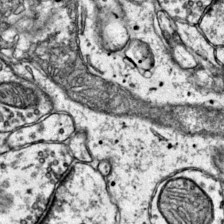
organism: Mouse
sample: Primary visual cortex